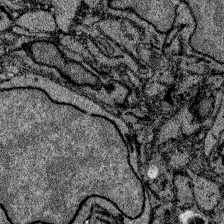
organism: Zebrafish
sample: Larval olfactory bulb